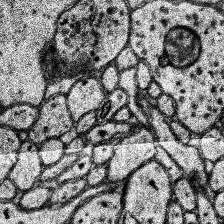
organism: Human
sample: Temporal Lobe